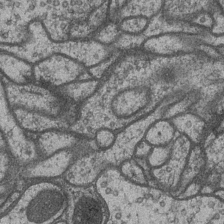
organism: Drosophila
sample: Optic medulla